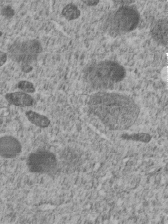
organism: C. elegans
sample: C. elegans embryo early stage